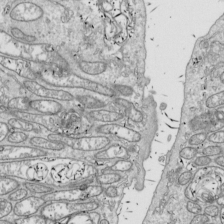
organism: Drosophila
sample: Cell division; meiosis; drosophila spermatocytes